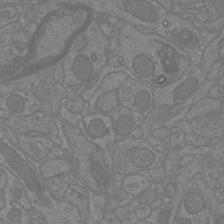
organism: Mouse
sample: Cortical neurons